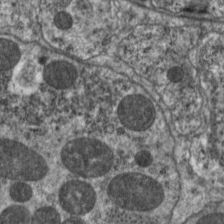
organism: C. elegans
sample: Pharynx